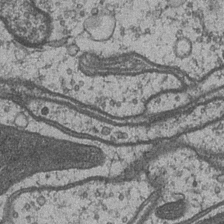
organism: Drosophila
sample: Optic medulla